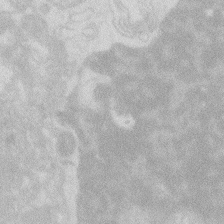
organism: Zebrafish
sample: Macrophage